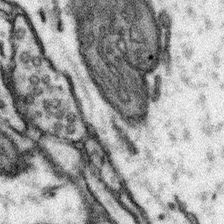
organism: Mouse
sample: Somatosensory cortex neuropil